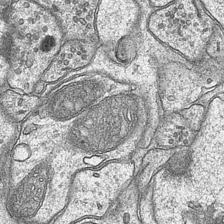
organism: Mouse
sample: CA1 Hippocampus